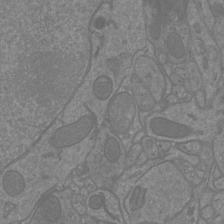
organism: Mouse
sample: Cortical neurons